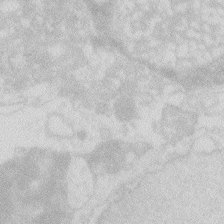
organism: Zebrafish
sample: Macrophage